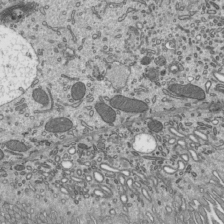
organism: Mouse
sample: Mouse epididymis efferent ductule cilia